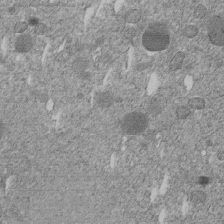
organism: C. elegans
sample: C. elegans embryo early stage